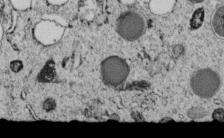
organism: C. elegans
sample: C. elegans embryo early stage